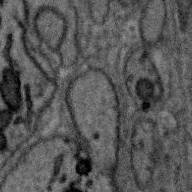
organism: Zebra finch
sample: Brain